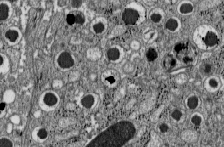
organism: C57BL Mouse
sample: Pancreatic islet